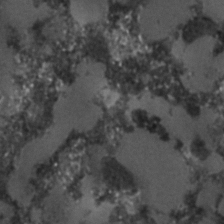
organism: C. elegans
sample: C. elegans embryo